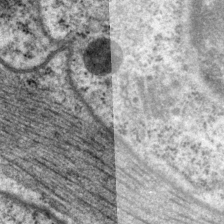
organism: P. pacificus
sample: Pharynx